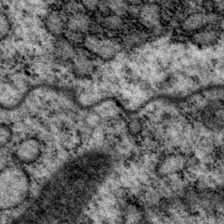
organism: P. pacificus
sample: Pharynx